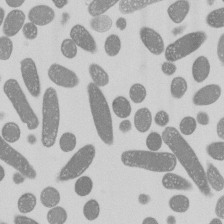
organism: E. coli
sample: Bacterial nucleoid